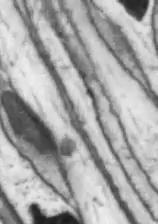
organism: Drosophila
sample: Optic lobe